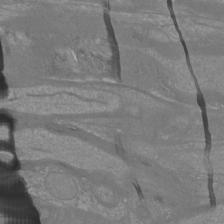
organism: Mouse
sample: Cortical neurons